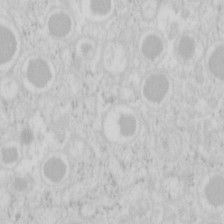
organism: Mouse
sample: Pancreas